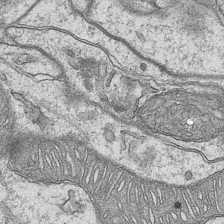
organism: Mouse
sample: CA1 Hippocampus